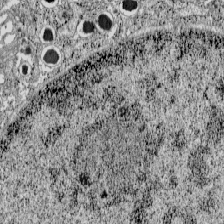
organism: C57BL Mouse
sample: Pancreatic islet